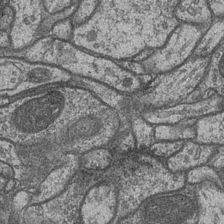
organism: Drosophila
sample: Optic medulla